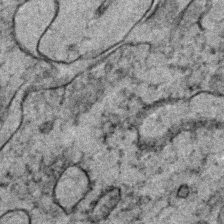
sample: Trachea